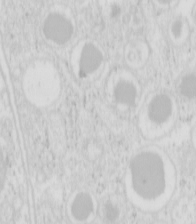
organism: Mouse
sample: Pancreas